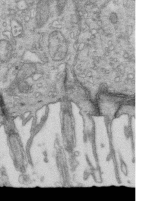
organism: Mouse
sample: Multiciliated cells